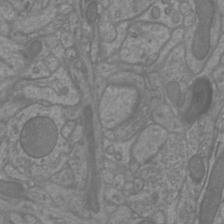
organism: Mouse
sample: Cortical neurons